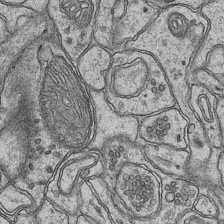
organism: Mouse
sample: CA1 Hippocampus